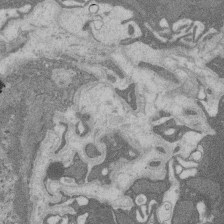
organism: Rat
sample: Salivary granule